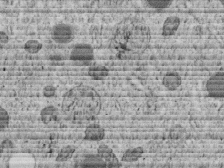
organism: C. elegans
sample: C. elegans embryo early stage